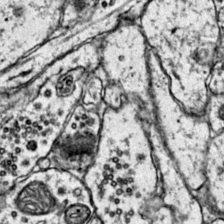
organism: Mouse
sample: Primary visual cortex